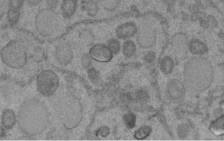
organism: C. elegans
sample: C. elegans embryo early stage